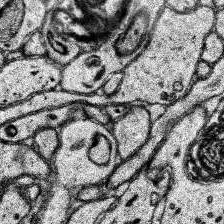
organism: Human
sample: Temporal Lobe